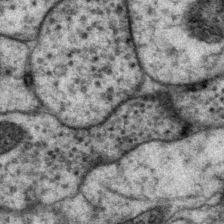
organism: P. pacificus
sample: Pharynx